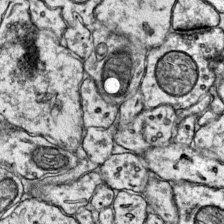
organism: Mouse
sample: Primary visual cortex